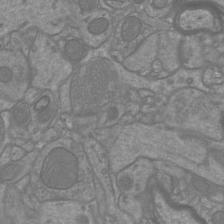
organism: Mouse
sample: Cortical neurons